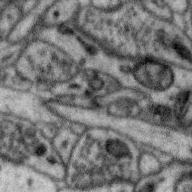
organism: Zebra finch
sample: Brain